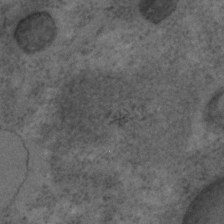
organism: C. elegans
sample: C. elegans embryo